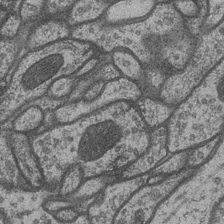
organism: Drosophila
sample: Optic medulla